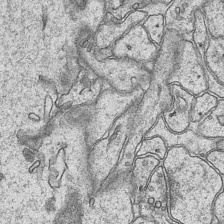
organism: Mouse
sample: CA1 Hippocampus